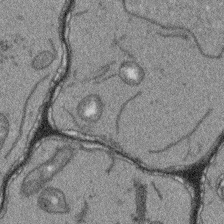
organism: Arabidopsis thaliana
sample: Root tip